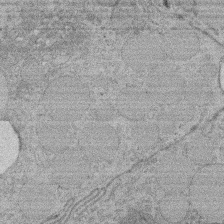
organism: Rat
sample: Salivary granule